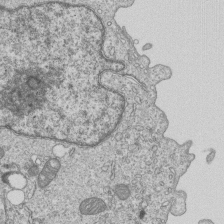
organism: Human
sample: MDA-MB-231 cells